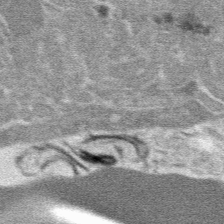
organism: Mouse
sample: Mouse hepatocytes